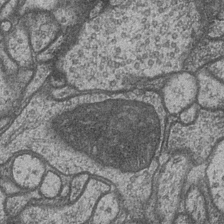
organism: Drosophila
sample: Optic medulla